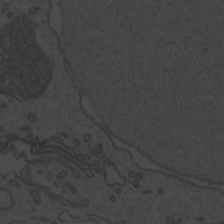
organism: Zebrafish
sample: Macrophage infected with Toxoplasma gondii